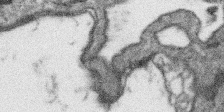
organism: Human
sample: Lung epithelial cells infected with SARS-CoV-2